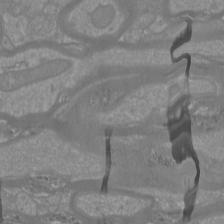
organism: Mouse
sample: Cortical neurons